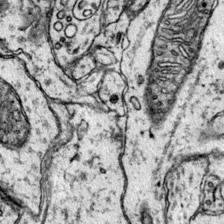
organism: Mouse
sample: Primary visual cortex